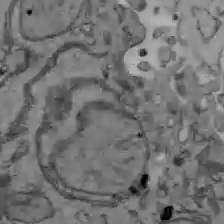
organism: C57BL Mouse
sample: Liver